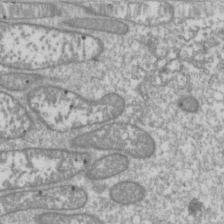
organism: Drosophila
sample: Cell division; meiosis; drosophila spermatocytes